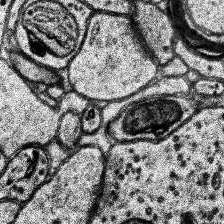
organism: Human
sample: Temporal Lobe